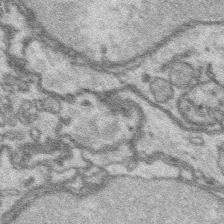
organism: Platynereis dumerilii